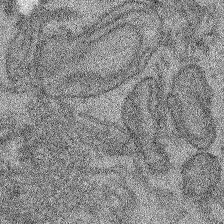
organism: Human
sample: HeLa cells